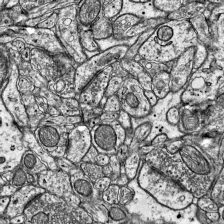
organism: Mouse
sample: Visual Cortex